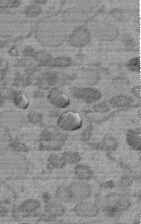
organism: C. elegans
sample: C. elegans embryo early stage